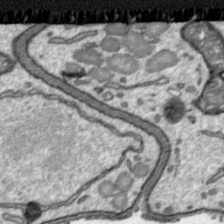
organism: Toxoplasma gondii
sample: Parasites in a vacuole inside a host cell